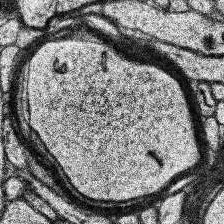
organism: Human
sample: Temporal Lobe